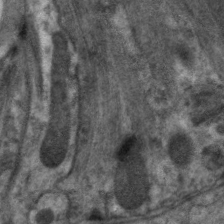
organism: C. elegans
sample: Pharynx